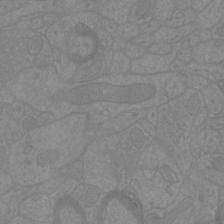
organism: Mouse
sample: Cortical neurons